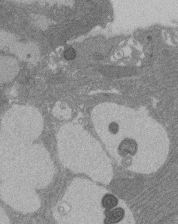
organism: Rat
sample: Salivary granule